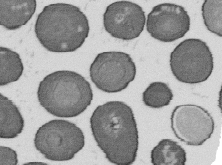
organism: B. subtilis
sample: Bacterial spore